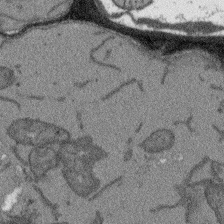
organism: Arabidopsis thaliana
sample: Root tip